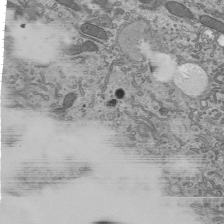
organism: Mouse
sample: Mouse epididymis efferent ductule cilia